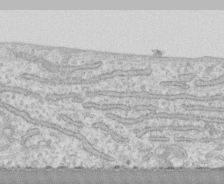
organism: Human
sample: CRL-1474